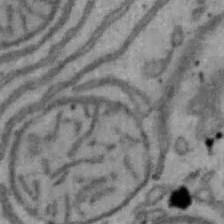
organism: Mouse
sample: Liver